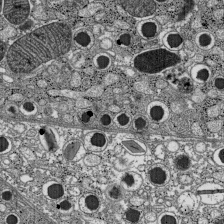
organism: C57BL Mouse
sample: Pancreatic islet